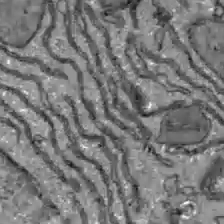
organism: C57BL Mouse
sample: Liver